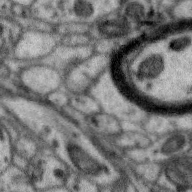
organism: Zebra finch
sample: Brain